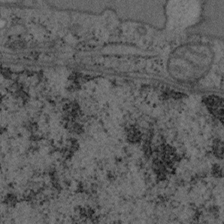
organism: Human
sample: HeLa cells